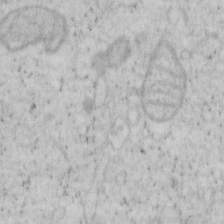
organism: Human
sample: HeLa cells